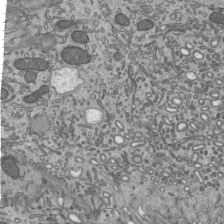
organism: Mouse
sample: Mouse epididymis efferent ductule cilia